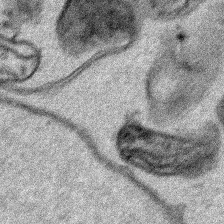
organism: Human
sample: Mitochondria in HCT116 cells